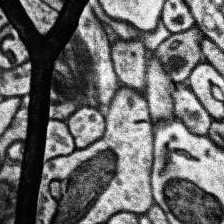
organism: Human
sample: Temporal Lobe